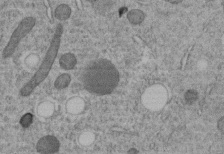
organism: C. elegans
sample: C. elegans embryo early stage